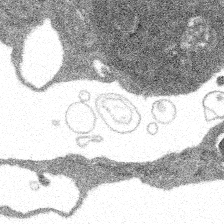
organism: Spongilla lacustris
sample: Multiple